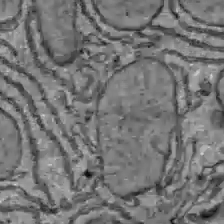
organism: C57BL Mouse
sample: Liver